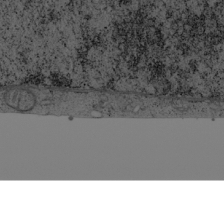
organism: African green monkey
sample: COS-7 cells